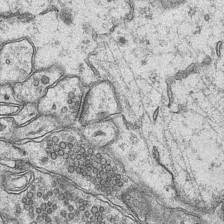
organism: Mouse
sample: CA1 Hippocampus